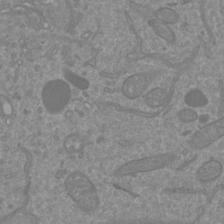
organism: Mouse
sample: Cortical neurons